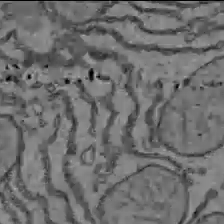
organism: C57BL Mouse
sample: Liver